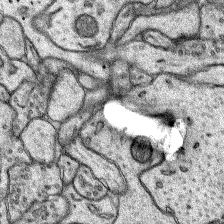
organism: Rat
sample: Hippocampus